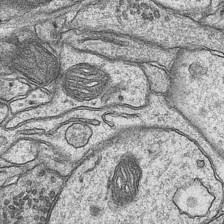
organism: Mouse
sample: CA1 Hippocampus